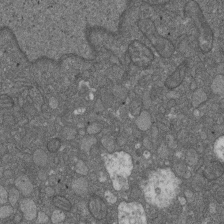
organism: Drosophila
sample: Nephrocyte